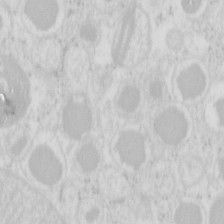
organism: Mouse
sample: Pancreas